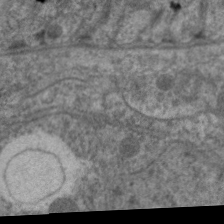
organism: C. elegans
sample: Pharynx